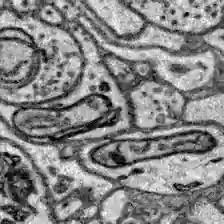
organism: Zebrafish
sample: Brain